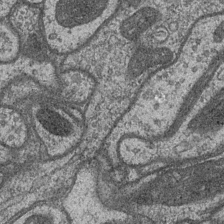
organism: Drosophila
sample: Optic medulla